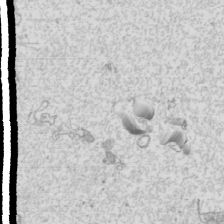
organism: Mouse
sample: Cilia; mouse epididymis